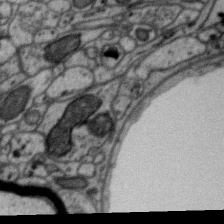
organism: Zebra finch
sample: Brain